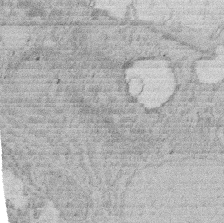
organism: Rat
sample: Salivary granule